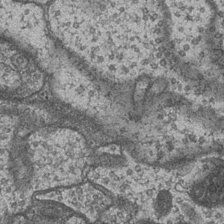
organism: Drosophila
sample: Optic medulla